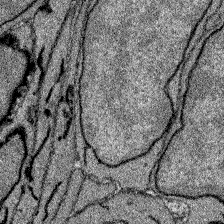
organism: Zebrafish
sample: Larval olfactory bulb